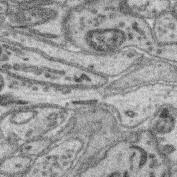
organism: Mouse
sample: Retina